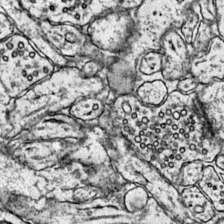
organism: Mouse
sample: Primary visual cortex